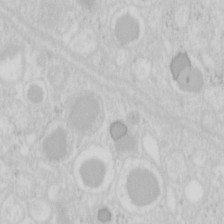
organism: Mouse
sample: Pancreas